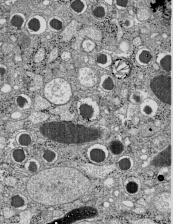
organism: C57BL Mouse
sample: Pancreatic islet